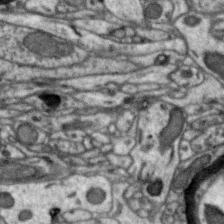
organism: Zebra finch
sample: Brain